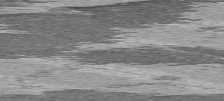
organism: C57BL Mouse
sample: Heart